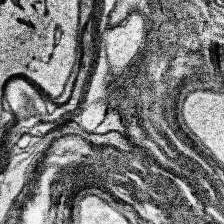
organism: Human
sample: Temporal Lobe